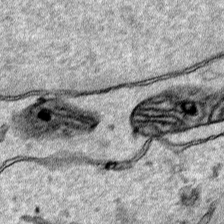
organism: Human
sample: Mitochondria in HCT116 cells